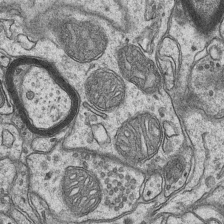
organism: Mouse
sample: CA1 Hippocampus